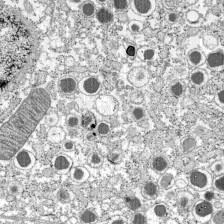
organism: C57BL Mouse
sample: Pancreatic islet